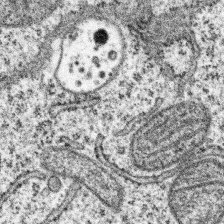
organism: Human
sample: HeLa cells